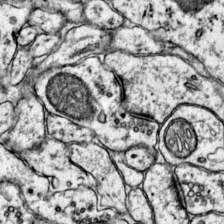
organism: Mouse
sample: Primary visual cortex